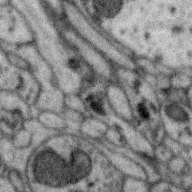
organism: Zebra finch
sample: Brain